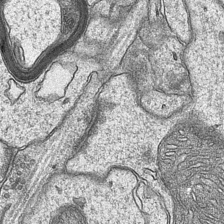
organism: Mouse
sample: CA1 Hippocampus